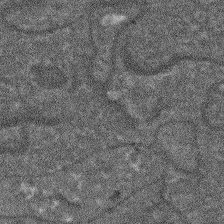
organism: Arabidopsis thaliana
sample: Root tip